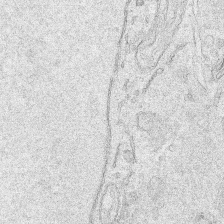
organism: Human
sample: Mitochondria in HCT116 cells